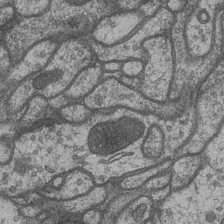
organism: Drosophila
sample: Optic medulla